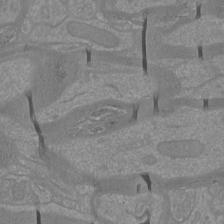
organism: Mouse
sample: Cortical neurons